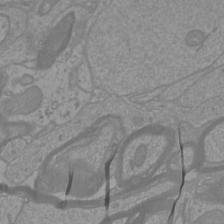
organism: Mouse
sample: Cortical neurons